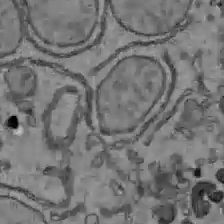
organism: C57BL Mouse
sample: Liver